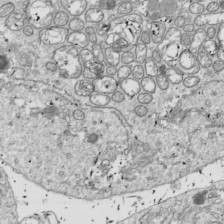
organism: Drosophila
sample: Cell division; meiosis; drosophila spermatocytes